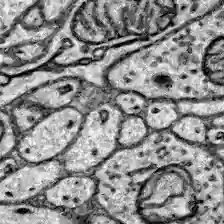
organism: Zebrafish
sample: Brain